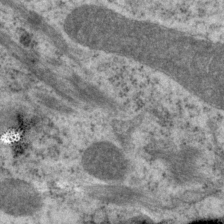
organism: P. pacificus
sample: Pharynx